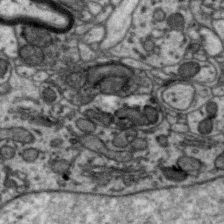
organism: Zebra finch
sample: Brain